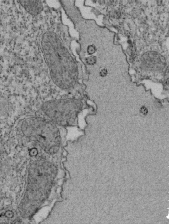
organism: Tetrahymena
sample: Cilia in tetrahymena